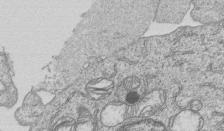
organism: Human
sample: MDA-MB-231 cells